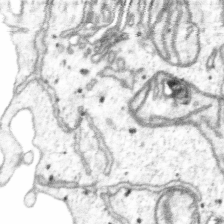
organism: Human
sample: HeLa cells